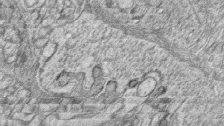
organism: Zebrafish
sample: synaptic ribbons in rod cells and cone cells